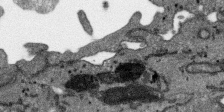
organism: Human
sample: Lung epithelial cells, uninfected (mock) control